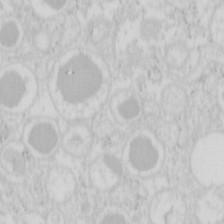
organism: Mouse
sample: Pancreas